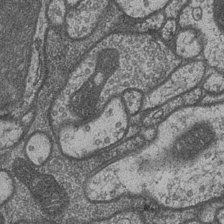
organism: Drosophila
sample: Optic medulla